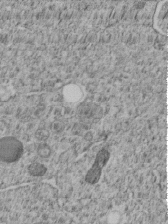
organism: C. elegans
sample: C. elegans embryo early stage